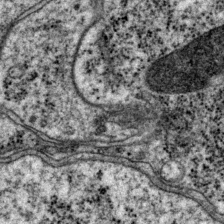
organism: P. pacificus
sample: Pharynx